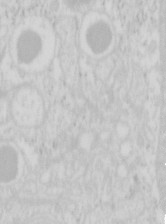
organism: Mouse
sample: Pancreas